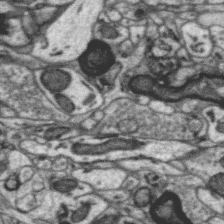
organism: Zebra finch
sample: Brain